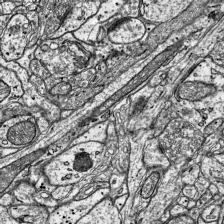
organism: Mouse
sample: Visual Cortex